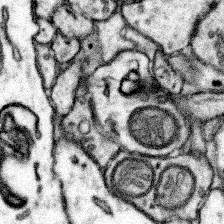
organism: Mouse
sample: Somatosensory cortex neuropil